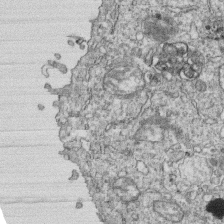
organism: Human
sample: HeLa cell HIV synapse